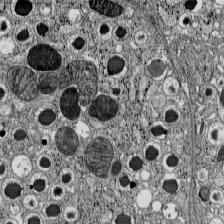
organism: C57BL Mouse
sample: Pancreatic islet